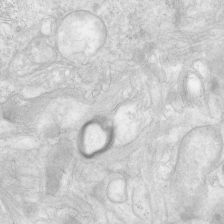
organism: Human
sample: Neocortex